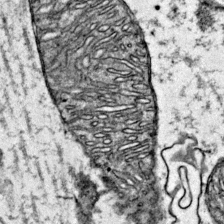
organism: Mouse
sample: Primary visual cortex